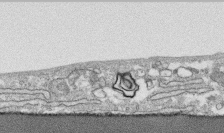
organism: Human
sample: CRL-1474